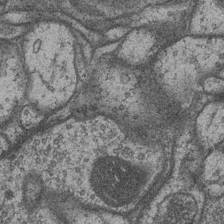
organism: Drosophila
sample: Optic medulla